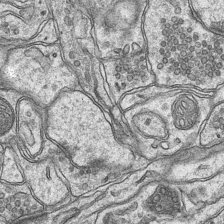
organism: Mouse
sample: CA1 Hippocampus